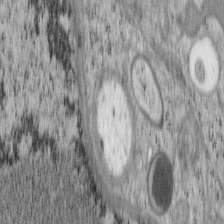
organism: Human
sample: HeLa cells